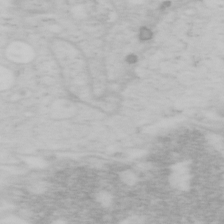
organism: Mouse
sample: OT-I killer T cells with ID8 ovarian cancer cells